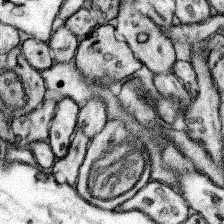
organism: Mouse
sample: Somatosensory cortex neuropil